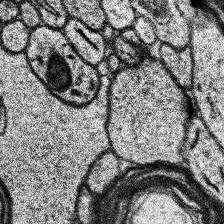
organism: Human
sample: Temporal Lobe